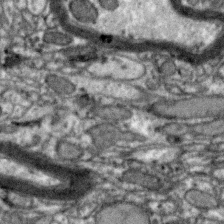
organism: Zebra finch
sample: Brain